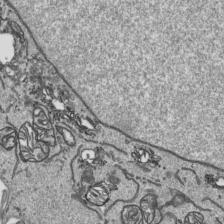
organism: Human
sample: Mitochondria in HCT116 cells